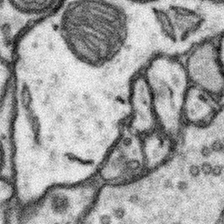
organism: Mouse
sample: Somatosensory cortex neuropil